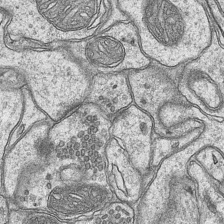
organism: Mouse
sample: CA1 Hippocampus